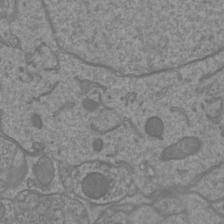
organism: Mouse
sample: Cortical neurons